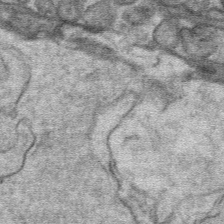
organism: Mouse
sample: Mouse hepatocytes